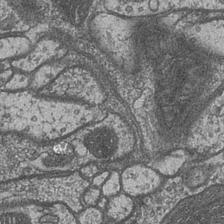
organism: Drosophila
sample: Optic medulla